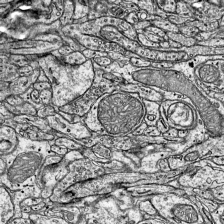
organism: Mouse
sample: Visual Cortex